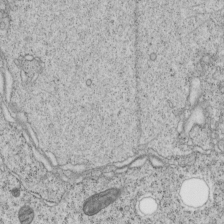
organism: C. elegans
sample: C. elegans embryo early stage